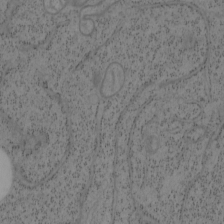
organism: Mouse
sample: OT-I killer T cells with ID8 ovarian cancer cells